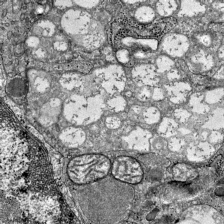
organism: Mouse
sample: Visual Cortex